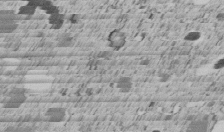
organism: C. elegans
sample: C. elegans embryo early stage